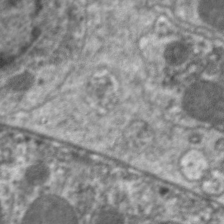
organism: C. elegans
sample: Pharynx